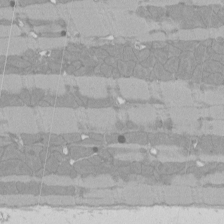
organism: Rat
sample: Left ventricle